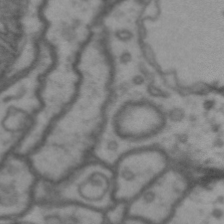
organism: Drosophila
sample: Brain